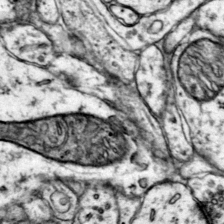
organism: Mouse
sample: Primary visual cortex